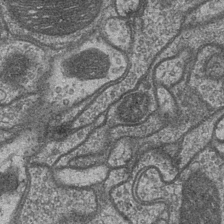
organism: Drosophila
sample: Optic medulla